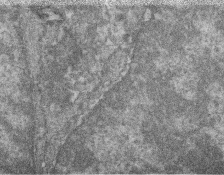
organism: Zebrafish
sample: Cilia; retinal pigment epithelium